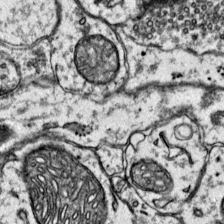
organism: Mouse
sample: Primary visual cortex